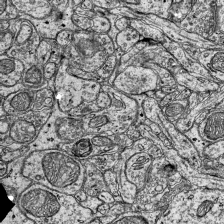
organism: Mouse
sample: Visual Cortex